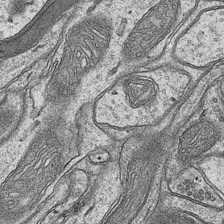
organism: Mouse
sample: CA1 Hippocampus